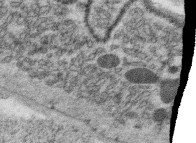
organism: C. elegans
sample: C. elegans oocyte; sperm cells